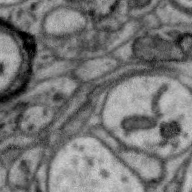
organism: Zebra finch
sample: Brain